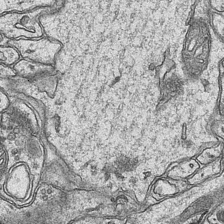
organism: Mouse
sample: CA1 Hippocampus